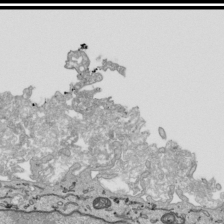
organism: Human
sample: Mitochondria in HCT116 cells